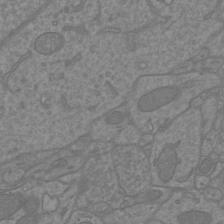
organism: Mouse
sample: Cortical neurons